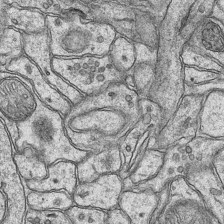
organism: Mouse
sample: CA1 Hippocampus